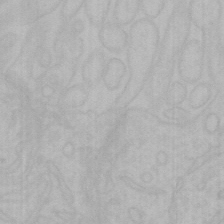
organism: Mouse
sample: Choroid plexus